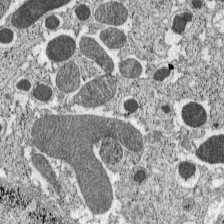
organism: C57BL Mouse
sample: Pancreatic islet